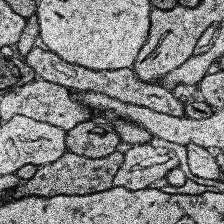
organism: Human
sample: Temporal Lobe